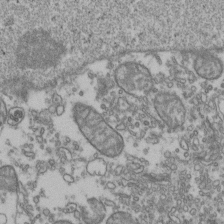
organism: Human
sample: Activated Jurkat CD4+ T cells